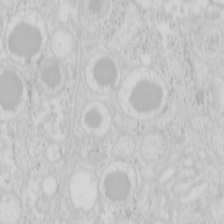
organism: Mouse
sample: Pancreas